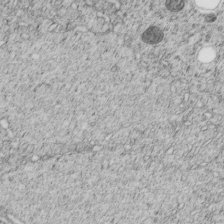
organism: C. elegans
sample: C. elegans embryo early stage